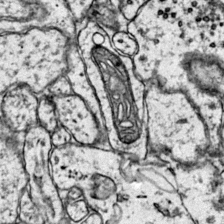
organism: Mouse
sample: Primary visual cortex